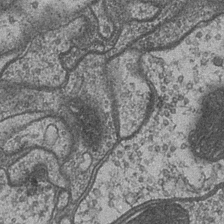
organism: Drosophila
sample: Optic medulla